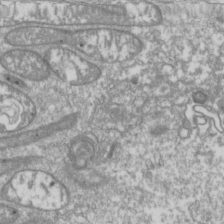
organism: Drosophila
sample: Cell division; meiosis; drosophila spermatocytes